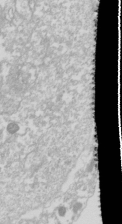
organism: Drosophila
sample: Cell division; meiosis; drosophila spermatocytes